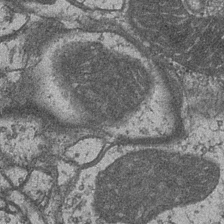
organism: Drosophila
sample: Optic medulla